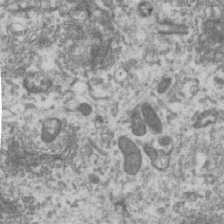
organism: Human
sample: Centriole in RPE cells